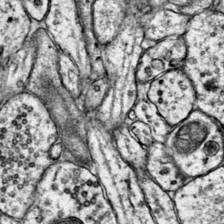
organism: Mouse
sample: Primary visual cortex